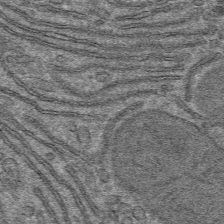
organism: Mouse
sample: Mouse hepatocytes